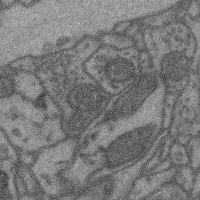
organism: Mouse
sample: Cerebral cortex